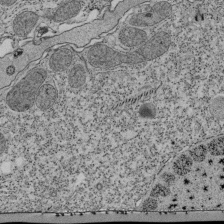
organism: Tetrahymena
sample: Cilia in tetrahymena